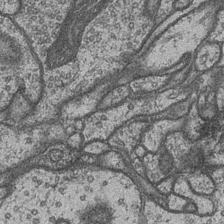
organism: Drosophila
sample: Optic medulla